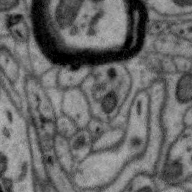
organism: Zebra finch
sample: Brain